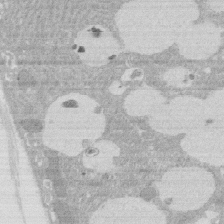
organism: Rat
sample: Salivary granule